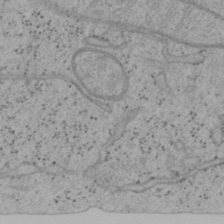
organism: Human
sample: HeLa cells